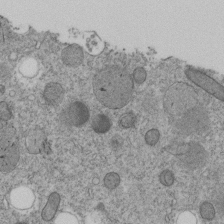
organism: C. elegans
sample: C. elegans embryo early stage